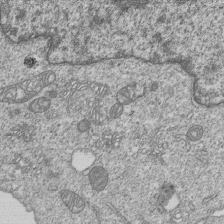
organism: Human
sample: MDA-MB-231 cells